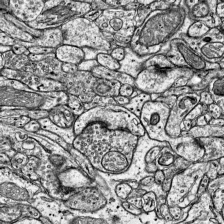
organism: Mouse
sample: Visual Cortex